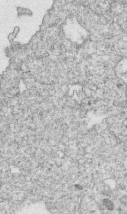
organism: Human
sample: HeLa cell HIV synapse